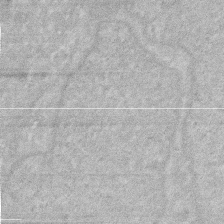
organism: Human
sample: HIV infected U937 cells